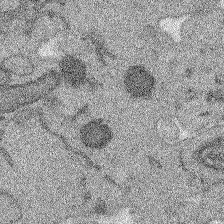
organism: Human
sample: HeLa cells